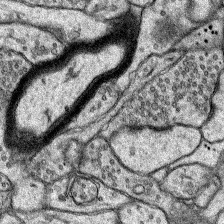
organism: Rat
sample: Hippocampus